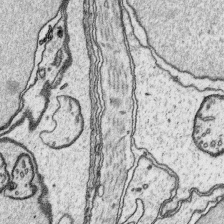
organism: Platynereis dumerilii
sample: Parapodia